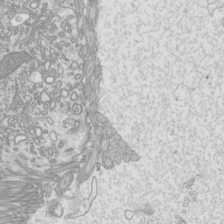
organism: Mouse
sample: Cilia; mouse epididymis